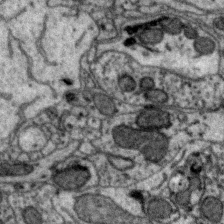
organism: Zebra finch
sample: Brain